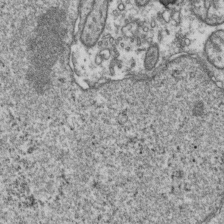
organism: Human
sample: Activated Jurkat CD4+ T cells